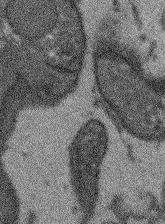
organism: Arabidopsis thaliana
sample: Root tip